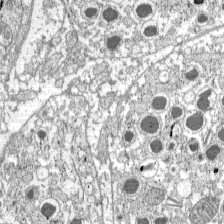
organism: C57BL Mouse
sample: Pancreatic islet